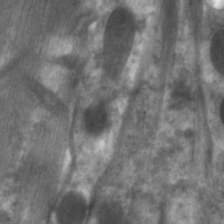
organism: C. elegans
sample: Pharynx